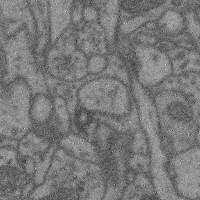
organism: Mouse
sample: Cerebral cortex